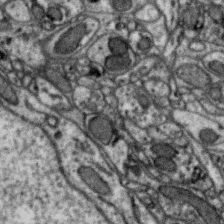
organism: Zebra finch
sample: Brain